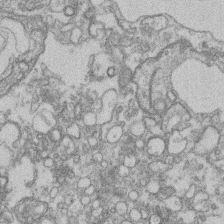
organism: Mouse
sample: T cell stromal cell synapse